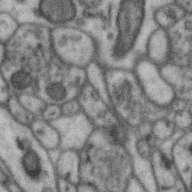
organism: Zebra finch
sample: Brain